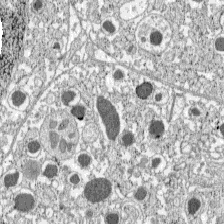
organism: C57BL Mouse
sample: Pancreatic islet